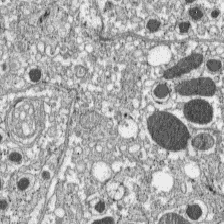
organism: C57BL Mouse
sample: Pancreatic islet